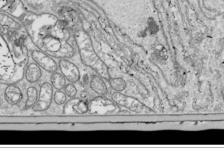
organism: Drosophila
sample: Cell division; meiosis; drosophila spermatocytes